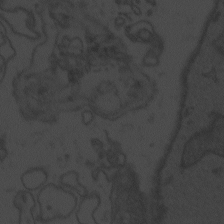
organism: Zebrafish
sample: Macrophage infected with Toxoplasma gondii